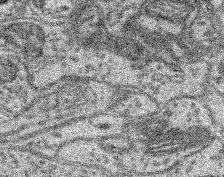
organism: Mouse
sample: Retina